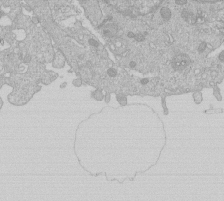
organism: Human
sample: Macrophage cells